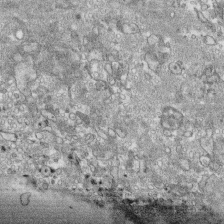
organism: Human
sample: CRL-1474